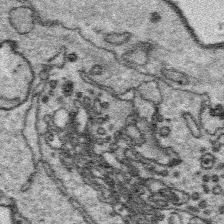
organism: Platynereis dumerilii